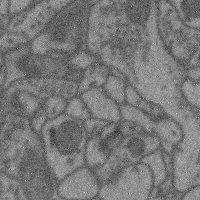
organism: Mouse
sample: Cerebral cortex